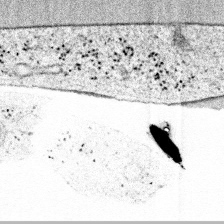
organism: Human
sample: HeLa cells